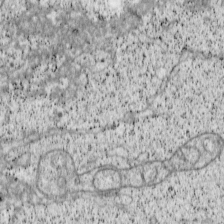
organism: African green monkey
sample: COS-7 cells